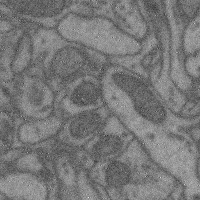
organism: Mouse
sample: Cerebral cortex